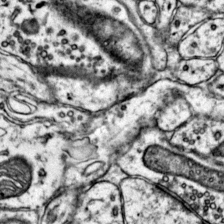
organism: Mouse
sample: Primary visual cortex